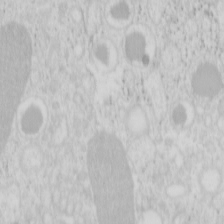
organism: Mouse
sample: Pancreas